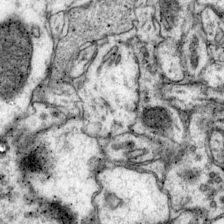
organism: Mouse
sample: Primary visual cortex